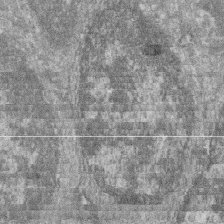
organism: Zebrafish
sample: Cilia; retinal pigment epithelium